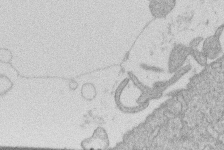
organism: Human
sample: Macrophage cells